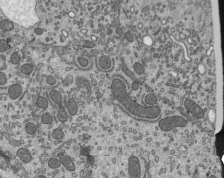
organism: Mouse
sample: Mouse epididymis efferent ductule cilia